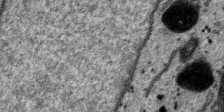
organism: Human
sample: Lung epithelial cells, uninfected (mock) control